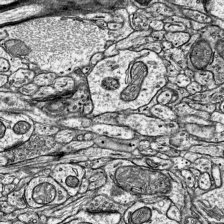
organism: Mouse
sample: Visual Cortex